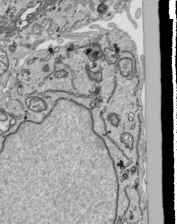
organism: Human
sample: Mitochondria in HCT116 cells